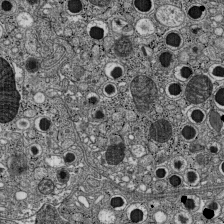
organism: C57BL Mouse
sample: Pancreatic islet